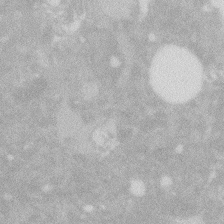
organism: Zebrafish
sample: Macrophage